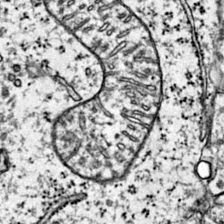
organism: Mouse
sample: Primary visual cortex